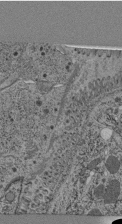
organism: C. elegans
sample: C. elegans pharynx